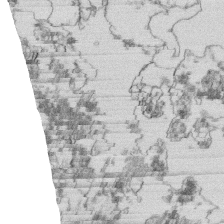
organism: Human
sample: HeLa cell HIV synapse